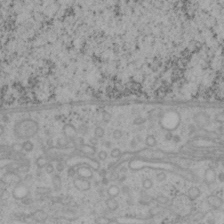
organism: Human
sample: HeLa cells